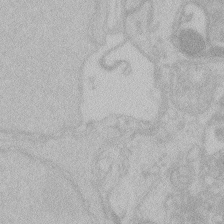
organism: Zebrafish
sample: Macrophage infected with Toxoplasma gondii